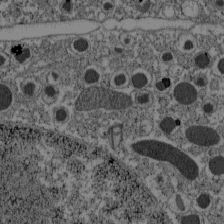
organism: C57BL Mouse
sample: Pancreatic islet